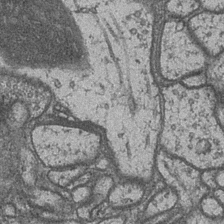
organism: Drosophila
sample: Optic medulla